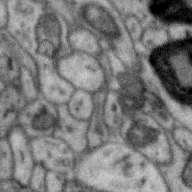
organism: Zebra finch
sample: Brain